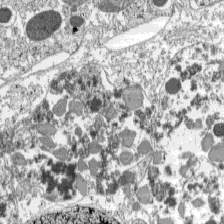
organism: C57BL Mouse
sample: Pancreatic islet